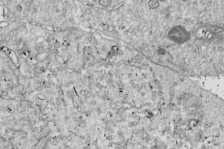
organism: Drosophila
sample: Cell division; meiosis; drosophila spermatocytes